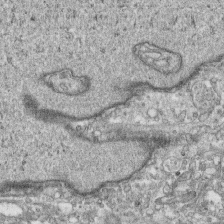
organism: Human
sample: CRL-1474